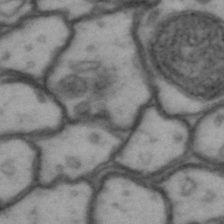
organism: Drosophila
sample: Brain